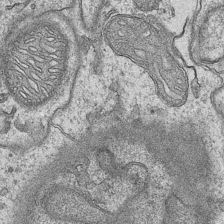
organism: Mouse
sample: CA1 Hippocampus